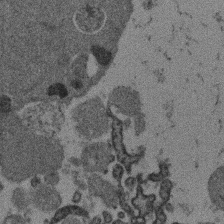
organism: Mouse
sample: Dividing mouse embryo 1 cell stage